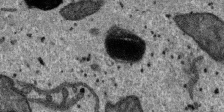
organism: Human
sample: Lung epithelial cells, uninfected (mock) control